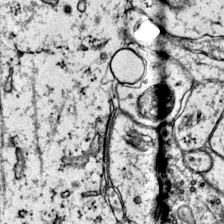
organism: Mouse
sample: Primary visual cortex